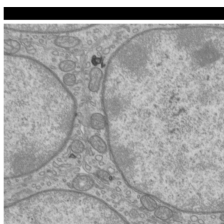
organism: Mouse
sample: Cilia; mouse epididymis